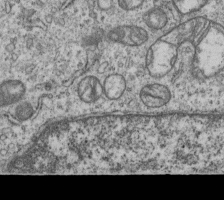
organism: Human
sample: MDA-MB-231 cells